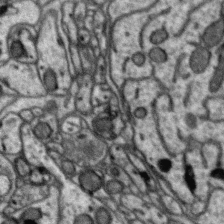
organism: Zebra finch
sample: Brain